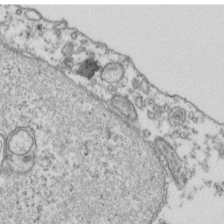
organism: Human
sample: Activated Jurkat CD4+ T cells